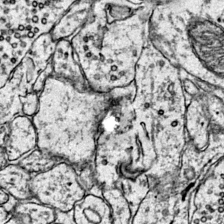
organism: Mouse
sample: Primary visual cortex